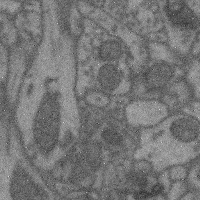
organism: Mouse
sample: Cerebral cortex